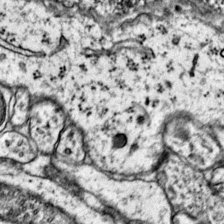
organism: Mouse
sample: Primary visual cortex